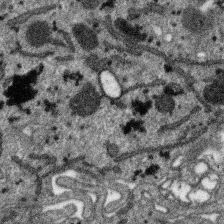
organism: Human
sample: Lung epithelial cells infected with SARS-CoV-2